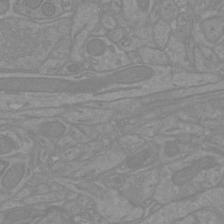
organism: Mouse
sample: Cortical neurons